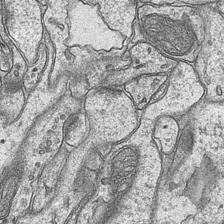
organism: Mouse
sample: CA1 Hippocampus